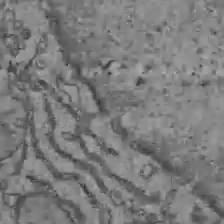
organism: C57BL Mouse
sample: Liver